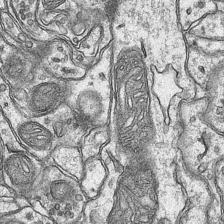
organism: Mouse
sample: CA1 Hippocampus